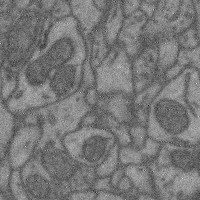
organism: Mouse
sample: Cerebral cortex